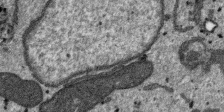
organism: Human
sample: Lung epithelial cells, uninfected (mock) control